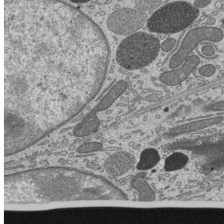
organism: Mouse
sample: Mouse epididymis efferent ductule cilia